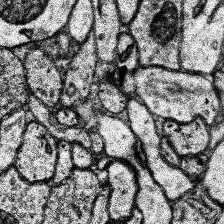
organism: Human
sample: Temporal Lobe